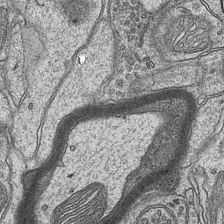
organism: Mouse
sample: CA1 Hippocampus